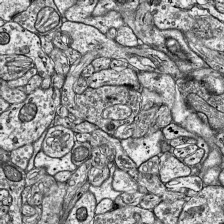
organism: Mouse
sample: Visual Cortex